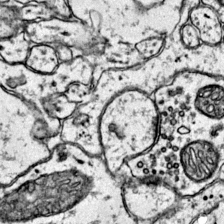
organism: Mouse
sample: Primary visual cortex